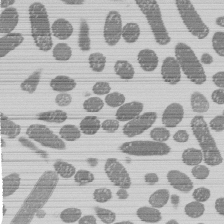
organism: E. coli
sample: Bacterial nucleoid